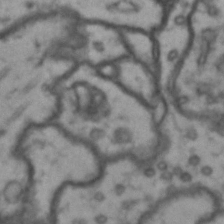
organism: Drosophila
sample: Brain